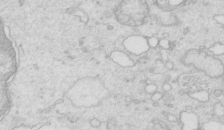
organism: Mouse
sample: Multiciliated cells